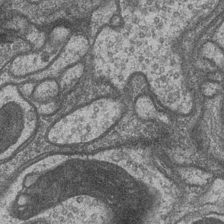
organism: Drosophila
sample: Optic medulla